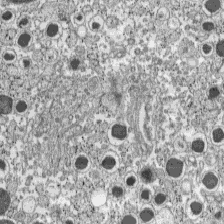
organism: C57BL Mouse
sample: Pancreatic islet